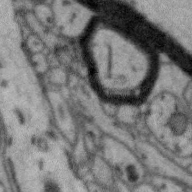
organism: Zebra finch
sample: Brain